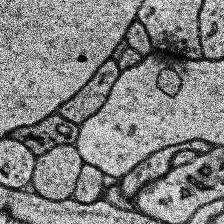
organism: Human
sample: Temporal Lobe